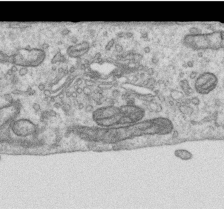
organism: Human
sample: Centriole in RPE cells